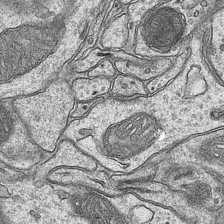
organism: Mouse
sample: CA1 Hippocampus